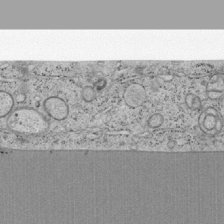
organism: Human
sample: HeLa cells